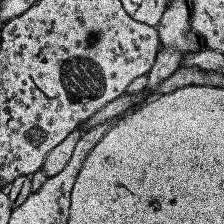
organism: Human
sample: Temporal Lobe